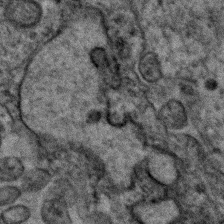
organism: Human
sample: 1205lu cells